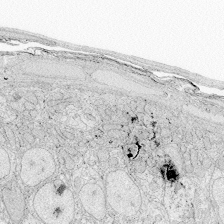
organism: Zebrafish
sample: Whole-Brain